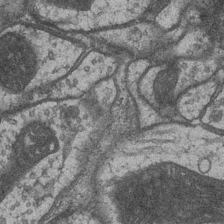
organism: Drosophila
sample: Optic medulla